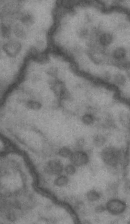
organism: Drosophila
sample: Brain